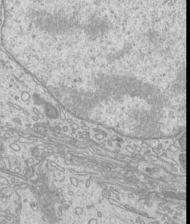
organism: Mouse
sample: Cilia; mouse epididymis